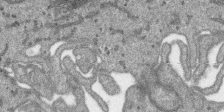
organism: Human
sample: Lung epithelial cells infected with SARS-CoV-2